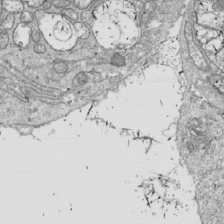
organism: Drosophila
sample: Cell division; meiosis; drosophila spermatocytes